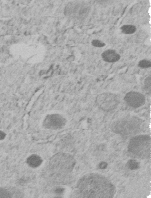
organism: C. elegans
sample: C. elegans embryo early stage